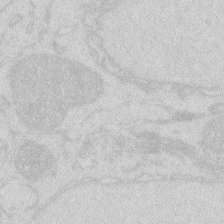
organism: Zebrafish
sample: Macrophage